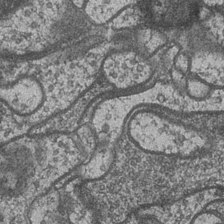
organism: Drosophila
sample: Optic medulla